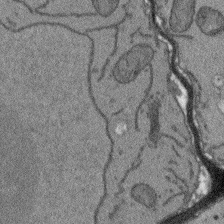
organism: Arabidopsis thaliana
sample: Root tip